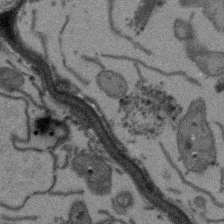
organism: Arabidopsis thaliana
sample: Root tip